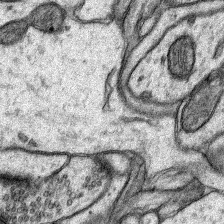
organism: Rat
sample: Hippocampus